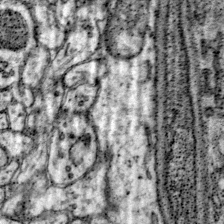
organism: Mouse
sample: Primary visual cortex